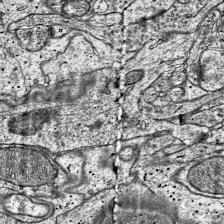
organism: Mouse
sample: Visual Cortex